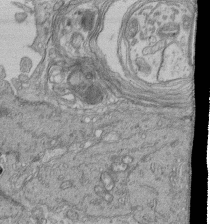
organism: Human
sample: Retinal organoid Rod and Cone cells